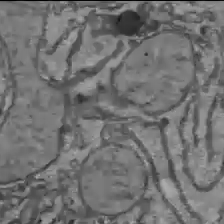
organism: C57BL Mouse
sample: Liver